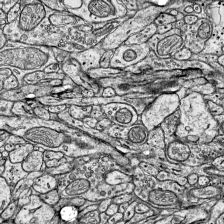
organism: Mouse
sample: Visual Cortex